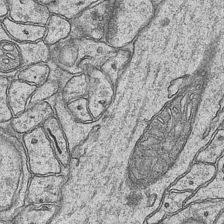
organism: Mouse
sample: CA1 Hippocampus